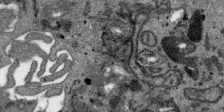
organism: Human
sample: Lung epithelial cells, uninfected (mock) control